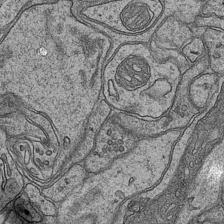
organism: Mouse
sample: CA1 Hippocampus